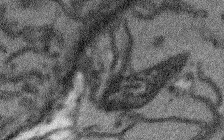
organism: Arabidopsis thaliana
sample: Root tip